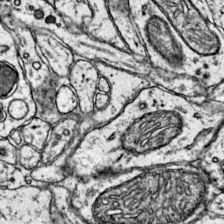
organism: Mouse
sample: Primary visual cortex